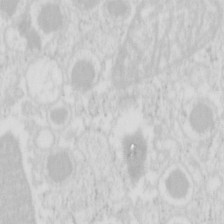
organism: Mouse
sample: Pancreas